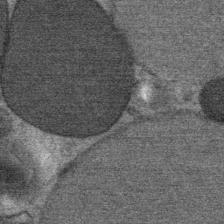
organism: Mouse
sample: Mouse Salivary gland